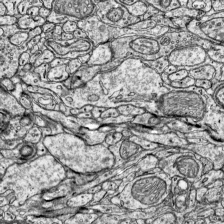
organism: Mouse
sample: Visual Cortex